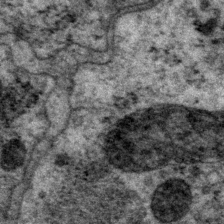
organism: P. pacificus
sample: Pharynx